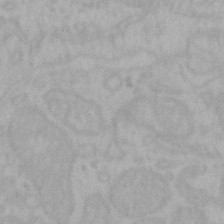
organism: Mouse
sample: Choroid plexus